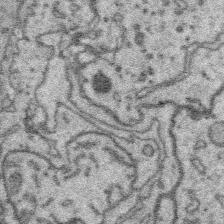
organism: Platynereis dumerilii